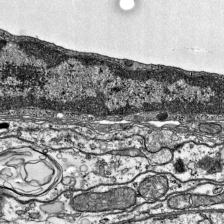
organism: Mouse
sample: Visual Cortex